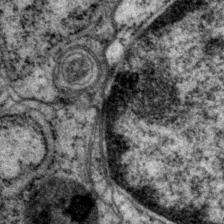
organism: P. pacificus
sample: Pharynx